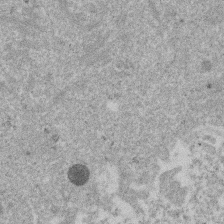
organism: Mouse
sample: Dividing mouse embryo 1 cell stage